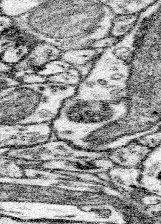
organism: Mouse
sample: Somatosensory cortex neuropil